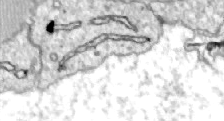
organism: Zebrafish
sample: Actinotrichia fibers